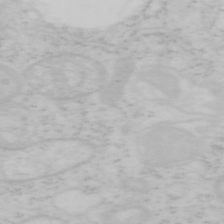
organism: Mouse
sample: OT-I killer T cells with ID8 ovarian cancer cells